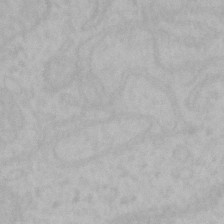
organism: Mouse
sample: Choroid plexus